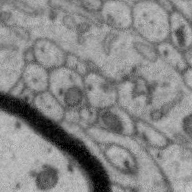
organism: Zebra finch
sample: Brain